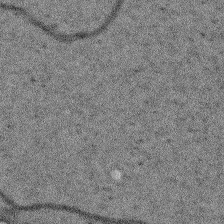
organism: Arabidopsis thaliana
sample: Root tip